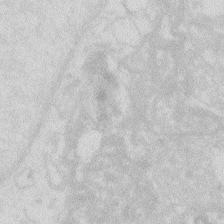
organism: Zebrafish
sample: Macrophage